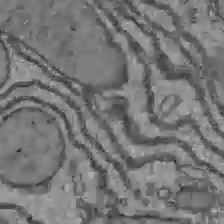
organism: C57BL Mouse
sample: Liver